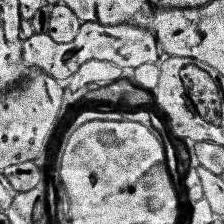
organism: Human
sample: Temporal Lobe